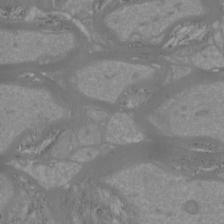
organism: Mouse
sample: Cortical neurons